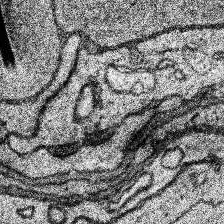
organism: Human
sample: Temporal Lobe